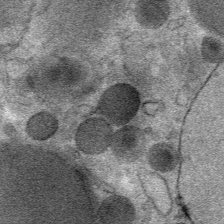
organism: Mouse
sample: Mouse Salivary gland